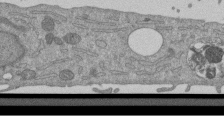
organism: Mouse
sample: ED-1 cell nuclei; centrioles